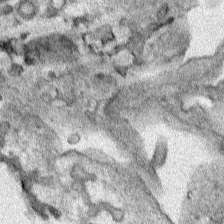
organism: Human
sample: Mitochondria in HCT116 cells